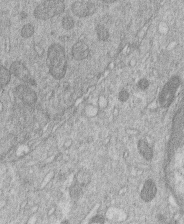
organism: Human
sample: Macrophage cells